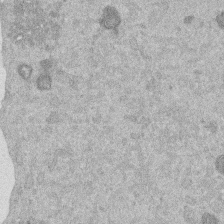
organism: Mouse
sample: Dividing mouse embryo 1 cell stage